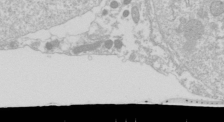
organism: Drosophila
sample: Cell division; meiosis; drosophila spermatocytes